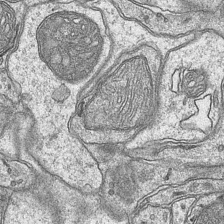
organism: Mouse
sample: CA1 Hippocampus